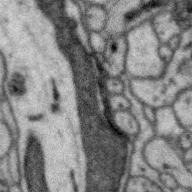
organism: Zebra finch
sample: Brain